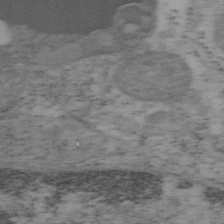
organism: Mouse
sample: OT-I killer T cells with ID8 ovarian cancer cells